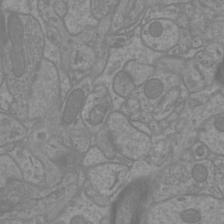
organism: Mouse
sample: Cortical neurons